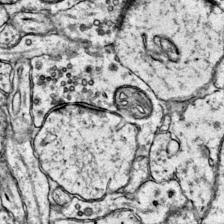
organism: Mouse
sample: Primary visual cortex